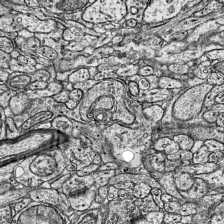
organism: Mouse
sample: Visual Cortex